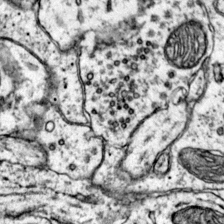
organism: Mouse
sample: Primary visual cortex